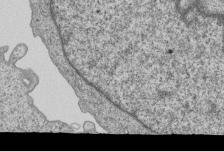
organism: Human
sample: MDA-MB-231 cells